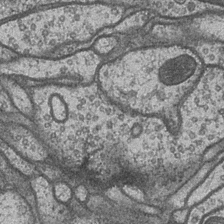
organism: Drosophila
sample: Optic medulla